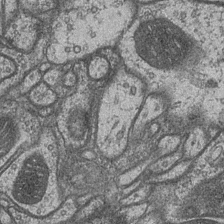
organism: Drosophila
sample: Optic medulla